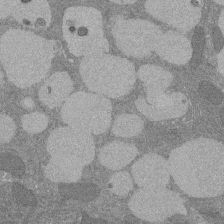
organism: Rat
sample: Salivary granule